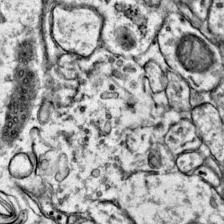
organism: Mouse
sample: Primary visual cortex